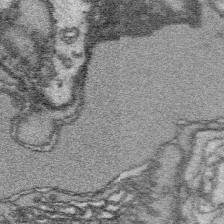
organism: Platynereis dumerilii